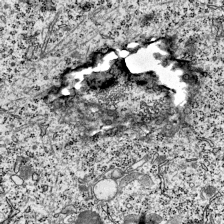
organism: Mouse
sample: Visual Cortex